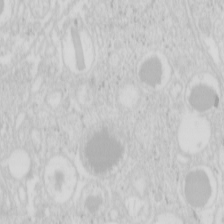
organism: Mouse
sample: Pancreas